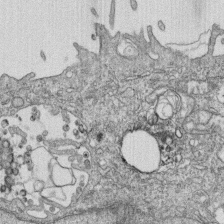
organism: Human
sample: HeLa cell HIV synapse